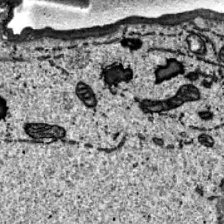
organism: Human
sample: HeLa cells